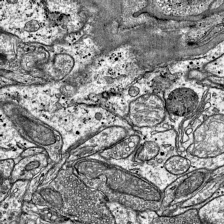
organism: Mouse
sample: Visual Cortex